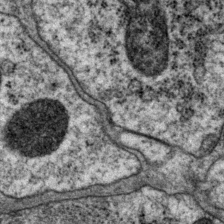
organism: P. pacificus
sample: Pharynx